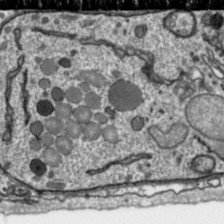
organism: Toxoplasma gondii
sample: Parasites in a vacuole inside a host cell